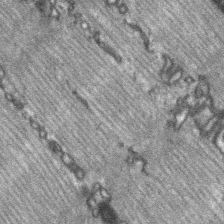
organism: C57BL Mouse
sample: Soleus